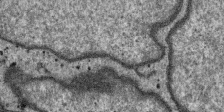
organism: Human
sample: Lung epithelial cells, uninfected (mock) control